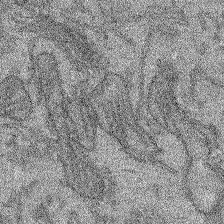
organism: Human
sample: HeLa cells